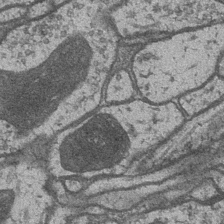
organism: Drosophila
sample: Optic medulla